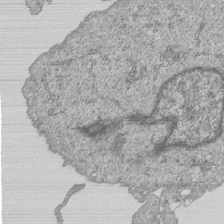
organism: Human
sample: MDA-MB-231 cells